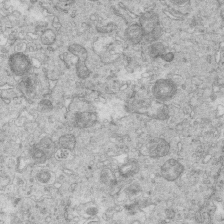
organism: Mouse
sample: Multiciliated cells